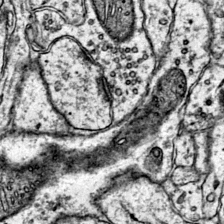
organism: Mouse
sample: Primary visual cortex